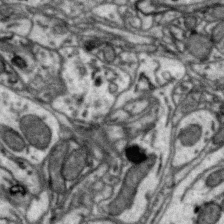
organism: Zebra finch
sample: Brain